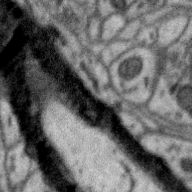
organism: Zebra finch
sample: Brain